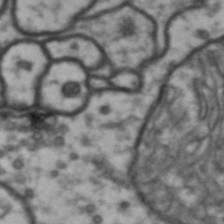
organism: Drosophila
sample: Brain